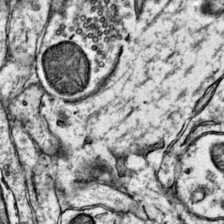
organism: Mouse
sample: Primary visual cortex